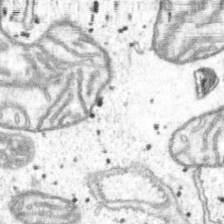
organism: Human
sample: HeLa cells